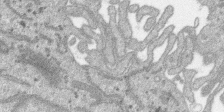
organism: Human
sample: Lung epithelial cells infected with SARS-CoV-2